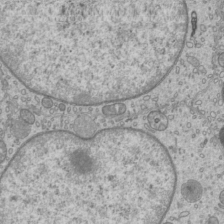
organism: Mouse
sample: Cilia; mouse epididymis